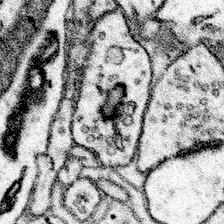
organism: Mouse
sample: Somatosensory cortex neuropil